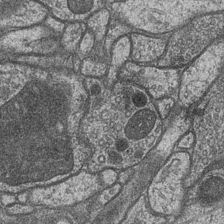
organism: Drosophila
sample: Optic medulla